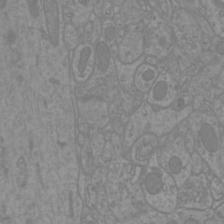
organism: Mouse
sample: Cortical neurons